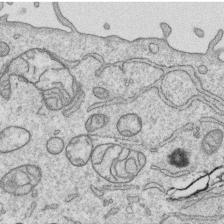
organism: Human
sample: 1205lu cells